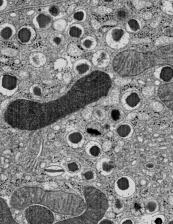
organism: C57BL Mouse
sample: Pancreatic islet